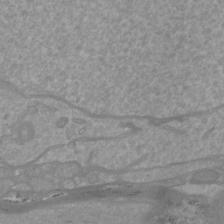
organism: Mouse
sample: Cortical neurons